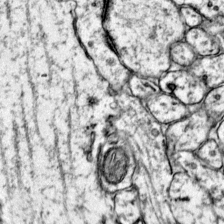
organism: Mouse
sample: Primary visual cortex